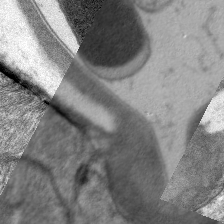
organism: C. elegans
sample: Pharynx